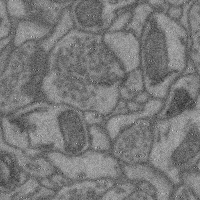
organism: Mouse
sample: Cerebral cortex